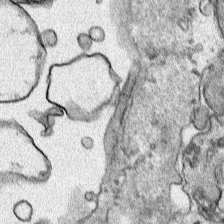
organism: Human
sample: Mitochondria in HCT116 cells